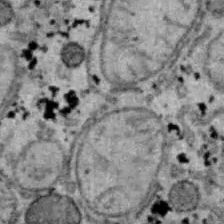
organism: Mouse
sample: Liver from an obese (ob/ob) mouse